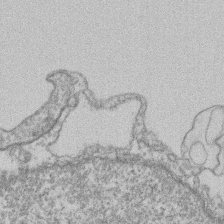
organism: Mouse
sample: T cell stromal cell synapse